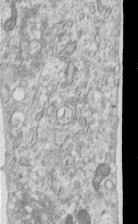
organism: Human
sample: Centriole in RPE cells